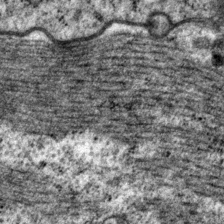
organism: P. pacificus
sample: Pharynx